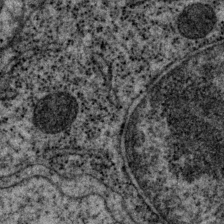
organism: P. pacificus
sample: Pharynx